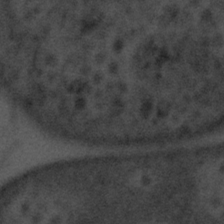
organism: Tuwongella immobilis